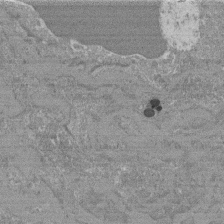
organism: Mouse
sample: Glomerulus